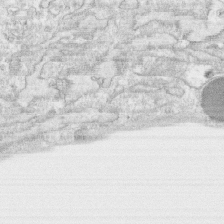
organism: Human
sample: CRL-1474